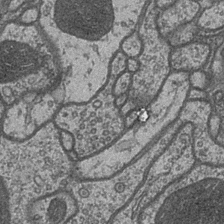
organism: Drosophila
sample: Optic medulla